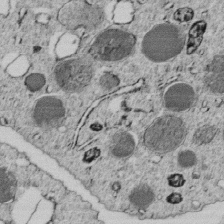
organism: C. elegans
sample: C. elegans embryo early stage